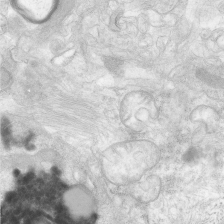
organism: Human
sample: Neocortex